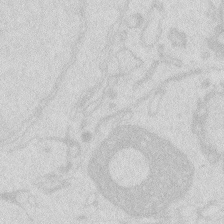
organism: Zebrafish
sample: Macrophage